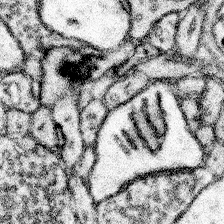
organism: Mouse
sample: Somatosensory cortex neuropil